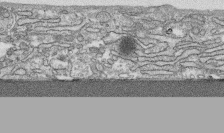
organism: Human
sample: CRL-1474